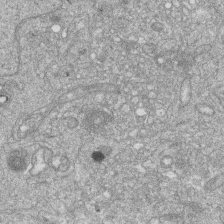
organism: Human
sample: HeLa cell HIV synapse